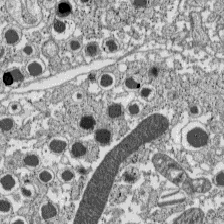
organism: C57BL Mouse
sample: Pancreatic islet